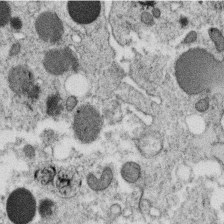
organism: C. elegans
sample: C. elegans oocyte; sperm cells